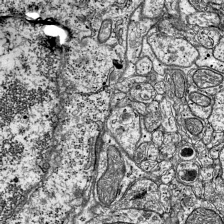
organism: Mouse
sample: Visual Cortex